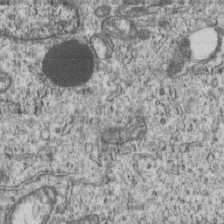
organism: Human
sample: MDA-MB-231 cells